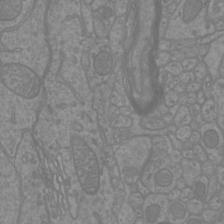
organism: Mouse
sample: Cortical neurons